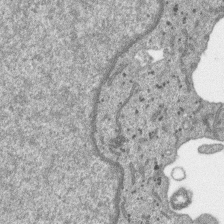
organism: Human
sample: Lung epithelial cells infected with SARS-CoV-2